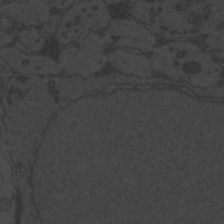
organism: Zebrafish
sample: Macrophage infected with Toxoplasma gondii